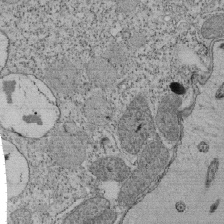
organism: Tetrahymena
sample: Cilia in tetrahymena